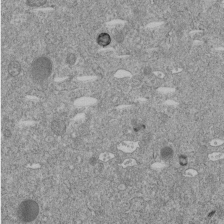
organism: C. elegans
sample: C. elegans embryo early stage